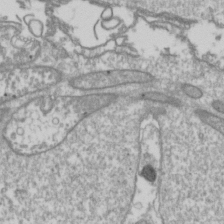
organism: Drosophila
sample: Cell division; meiosis; drosophila spermatocytes